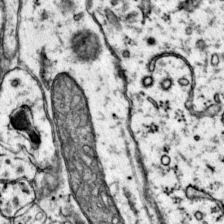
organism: Mouse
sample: Primary visual cortex